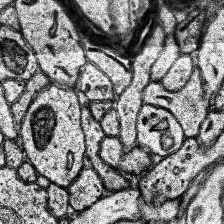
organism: Human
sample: Temporal Lobe